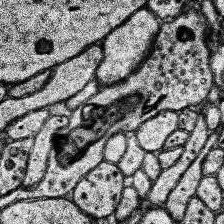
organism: Human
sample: Temporal Lobe